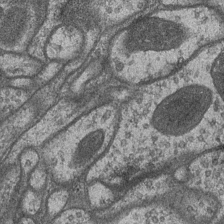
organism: Drosophila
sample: Optic medulla